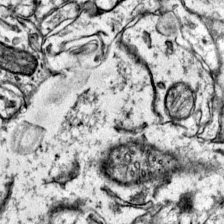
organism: Mouse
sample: Primary visual cortex